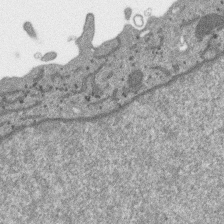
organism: Human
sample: Lung epithelial cells infected with SARS-CoV-2